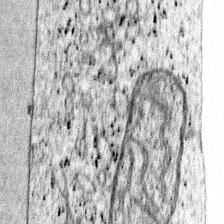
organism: Human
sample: HeLa cells